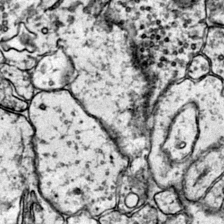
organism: Mouse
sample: Primary visual cortex